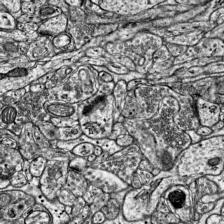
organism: Mouse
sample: Visual Cortex